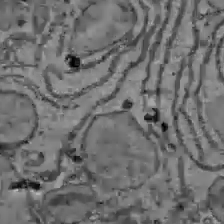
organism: C57BL Mouse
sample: Liver